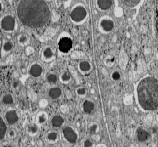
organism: C57BL Mouse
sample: Pancreatic islet